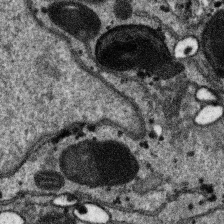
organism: Human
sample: Lung epithelial cells infected with SARS-CoV-2